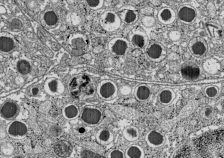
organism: C57BL Mouse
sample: Pancreatic islet